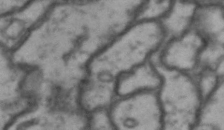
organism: Drosophila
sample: Brain